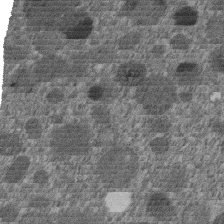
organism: C. elegans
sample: C. elegans embryo early stage